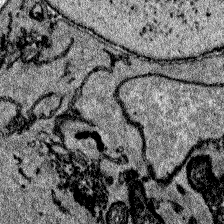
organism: Zebrafish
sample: Larval olfactory bulb